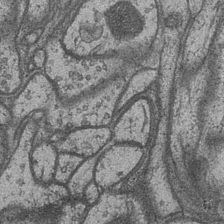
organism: Drosophila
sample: Optic medulla